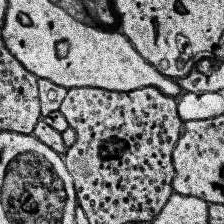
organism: Human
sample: Temporal Lobe